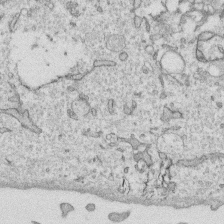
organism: Human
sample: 1205lu cells